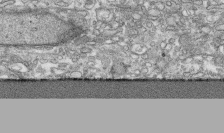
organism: Human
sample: CRL-1474